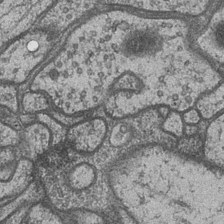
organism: Drosophila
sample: Optic medulla